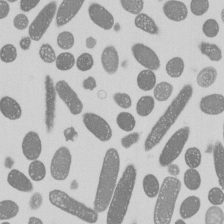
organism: E. coli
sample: Bacterial nucleoid